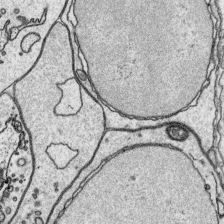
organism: Platynereis dumerilii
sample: Parapodia